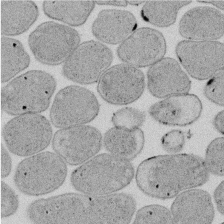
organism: E. coli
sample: Bacterial nucleoid